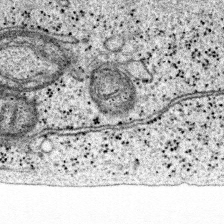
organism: Human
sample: HeLa cells